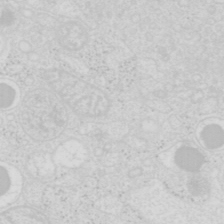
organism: Mouse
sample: Pancreas